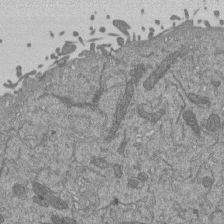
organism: Mouse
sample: ED-1 cell nuclei; centrioles